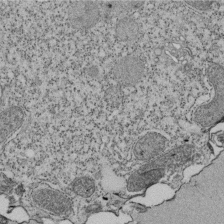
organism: Tetrahymena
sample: Cilia in tetrahymena